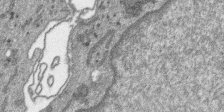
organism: Human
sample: Lung epithelial cells infected with SARS-CoV-2